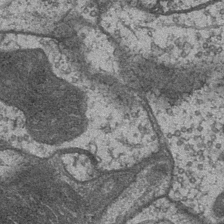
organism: Drosophila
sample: Optic medulla